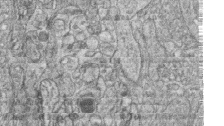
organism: Zebrafish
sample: synaptic ribbons in rod cells and cone cells